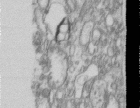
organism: Human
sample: Centriole in RPE cells